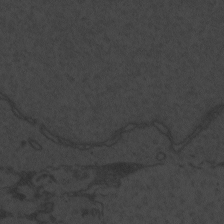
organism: Zebrafish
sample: Macrophage infected with Toxoplasma gondii